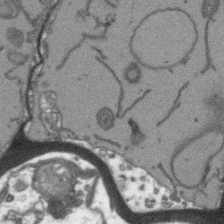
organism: Arabidopsis thaliana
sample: Root tip